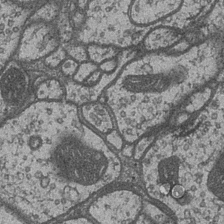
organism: Drosophila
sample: Optic medulla